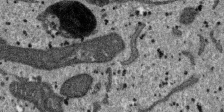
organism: Human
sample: Lung epithelial cells, uninfected (mock) control